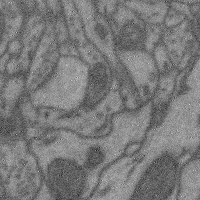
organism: Mouse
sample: Cerebral cortex